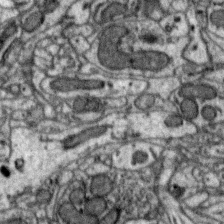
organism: Zebra finch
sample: Brain